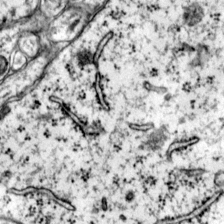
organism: Mouse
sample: Primary visual cortex